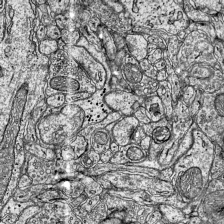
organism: Mouse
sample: Visual Cortex